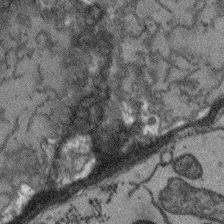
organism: Arabidopsis thaliana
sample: Root tip